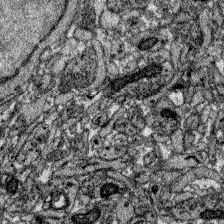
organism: Zebrafish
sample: Larval olfactory bulb